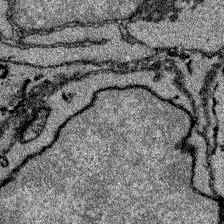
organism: Zebrafish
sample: Larval olfactory bulb